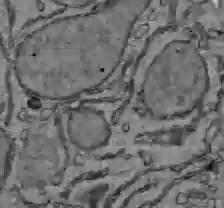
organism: C57BL Mouse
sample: Liver